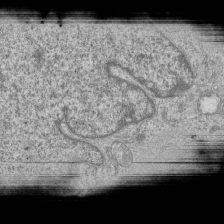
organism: Human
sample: MDA-MB-231 cells